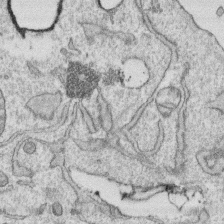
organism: Human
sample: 1205lu cells